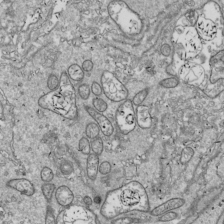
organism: Drosophila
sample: Cell division; meiosis; drosophila spermatocytes